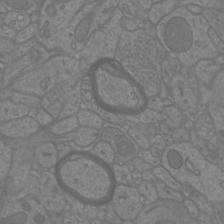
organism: Mouse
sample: Cortical neurons